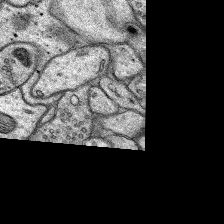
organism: Rat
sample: Hippocampus